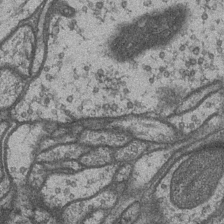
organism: Drosophila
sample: Optic medulla